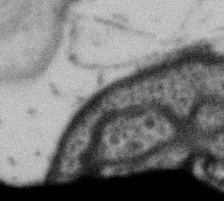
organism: Gemmata obscuriglobus